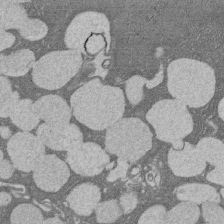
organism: Rat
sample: Salivary granule